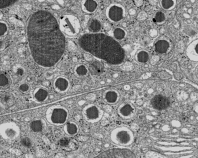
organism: C57BL Mouse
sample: Pancreatic islet